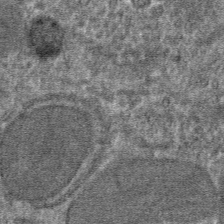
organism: Mouse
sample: Mouse hepatocytes